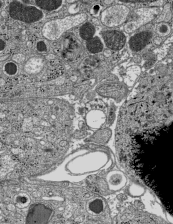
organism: C57BL Mouse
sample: Pancreatic islet